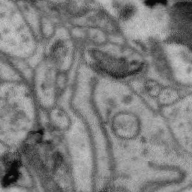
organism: Zebra finch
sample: Brain